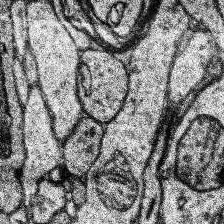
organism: Human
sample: Temporal Lobe